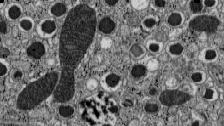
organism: C57BL Mouse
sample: Pancreatic islet